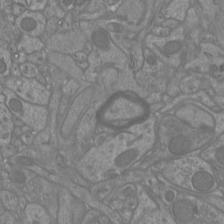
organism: Mouse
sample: Cortical neurons